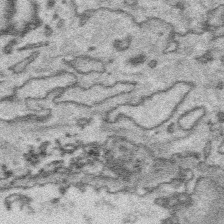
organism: Platynereis dumerilii